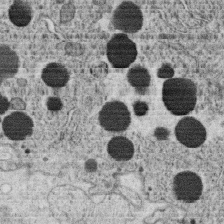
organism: C. elegans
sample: C. elegans oocyte; sperm cells